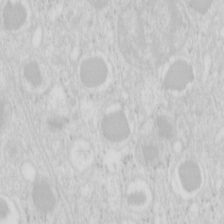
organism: Mouse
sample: Pancreas